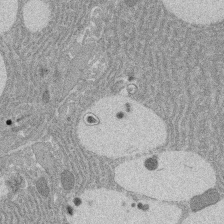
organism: Rat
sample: Salivary granule